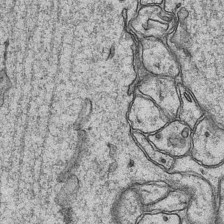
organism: Mouse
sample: CA1 Hippocampus